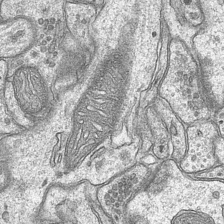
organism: Mouse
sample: CA1 Hippocampus